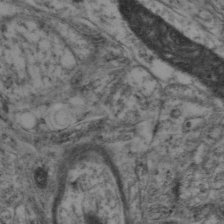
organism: Mouse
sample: Neocortex